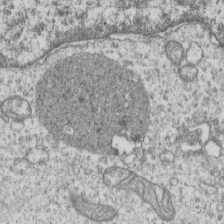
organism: Human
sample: MDA-MB-231 cells